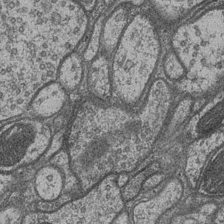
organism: Drosophila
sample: Optic medulla